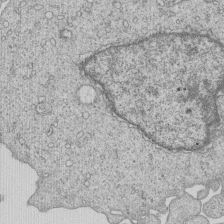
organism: Human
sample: MDA-MB-231 cells